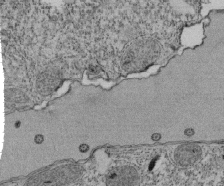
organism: Tetrahymena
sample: Cilia in tetrahymena